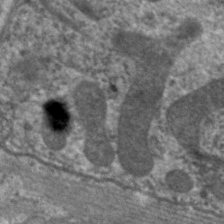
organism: C. elegans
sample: Pharynx